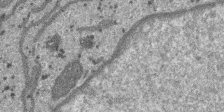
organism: Human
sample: Lung epithelial cells infected with SARS-CoV-2